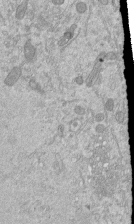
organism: Mouse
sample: ED-1 cell nuclei; centrioles